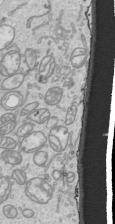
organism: Human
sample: Mitochondria in HCT116 cells